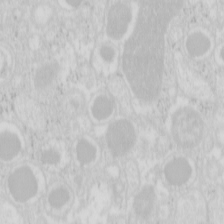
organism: Mouse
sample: Pancreas